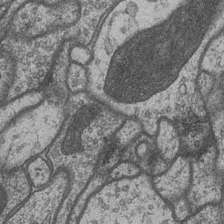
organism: Drosophila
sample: Optic medulla